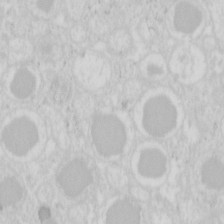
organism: Mouse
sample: Pancreas